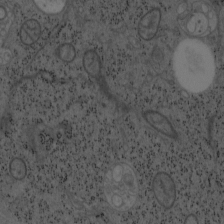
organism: Mouse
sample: OT-I killer T cells with ID8 ovarian cancer cells